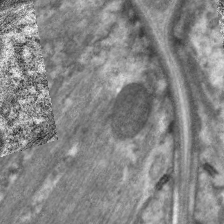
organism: C. elegans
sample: Pharynx